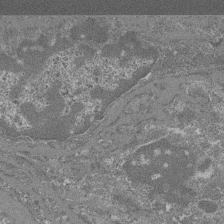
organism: Mouse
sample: Glomerulus